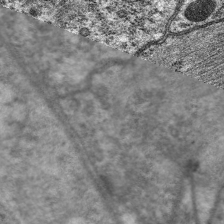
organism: C. elegans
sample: Pharynx